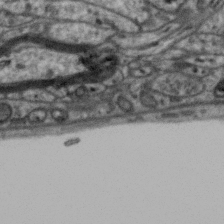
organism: Zebra finch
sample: Brain